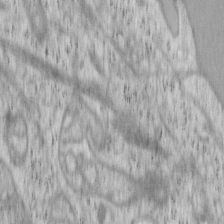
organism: Human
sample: HeLa cells